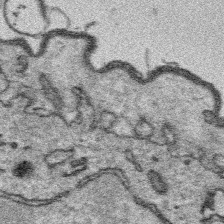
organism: Platynereis dumerilii